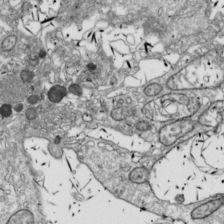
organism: Drosophila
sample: Cell division; meiosis; drosophila spermatocytes